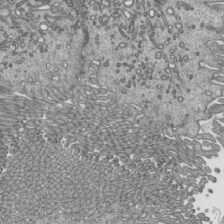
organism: Mouse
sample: Mouse epididymis efferent ductule cilia